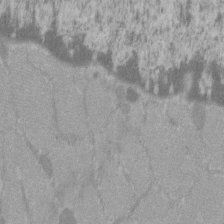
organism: C57BL Mouse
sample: Tibialis anterior muscle cell